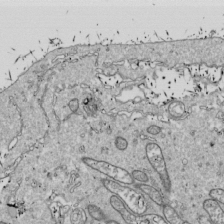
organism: Drosophila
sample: Cell division; meiosis; drosophila spermatocytes